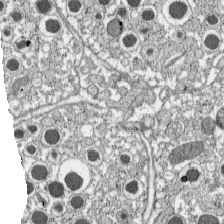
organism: C57BL Mouse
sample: Pancreatic islet